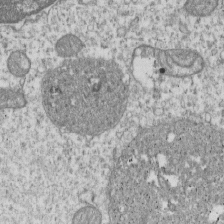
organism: Human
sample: MDA-MB-231 cells